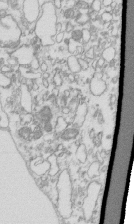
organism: Mouse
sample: Macrophages